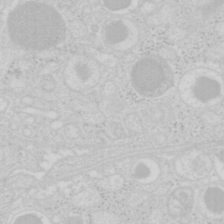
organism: Mouse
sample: Pancreas